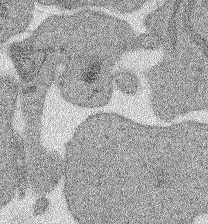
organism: Human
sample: HeLa cells